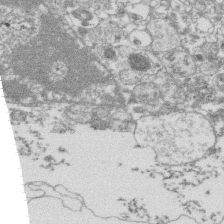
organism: Human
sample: HeLa cell HIV synapse